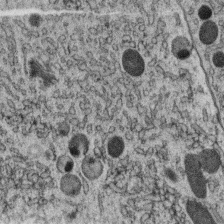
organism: C. elegans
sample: C. elegans oocyte; sperm cells